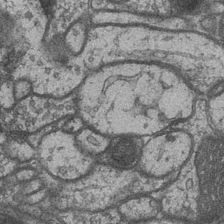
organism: Drosophila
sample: Optic medulla